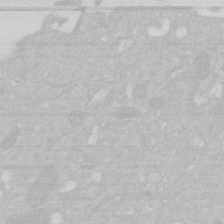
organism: Human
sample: HIV infected U937 cells